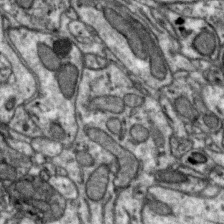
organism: Zebra finch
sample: Brain